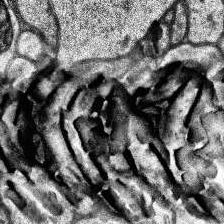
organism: Human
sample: Temporal Lobe